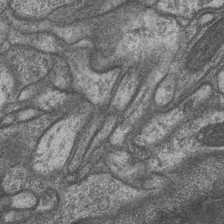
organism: Drosophila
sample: Optic medulla